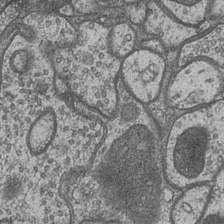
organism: Drosophila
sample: Optic medulla